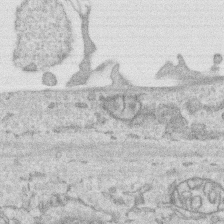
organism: Human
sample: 1205lu cells